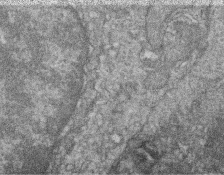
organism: Zebrafish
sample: Cilia; retinal pigment epithelium